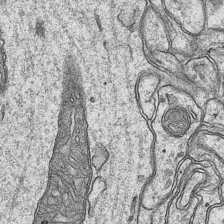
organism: Mouse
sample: CA1 Hippocampus